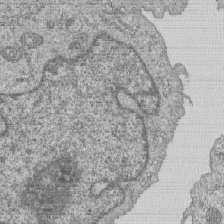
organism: Human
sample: MDA-MB-231 cells